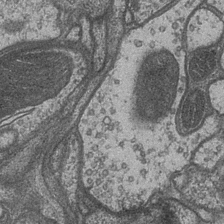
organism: Drosophila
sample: Optic medulla